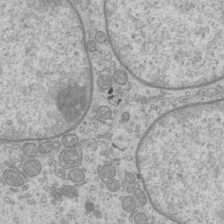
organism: Mouse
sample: Cilia; mouse epididymis